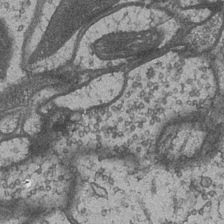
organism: Drosophila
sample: Optic medulla